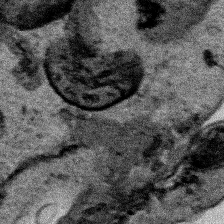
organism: Human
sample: Mitochondria in HCT116 cells